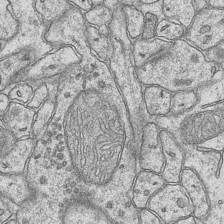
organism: Mouse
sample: CA1 Hippocampus